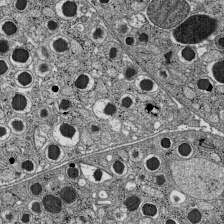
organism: C57BL Mouse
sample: Pancreatic islet